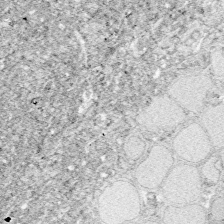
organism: Zebrafish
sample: Whole-Brain